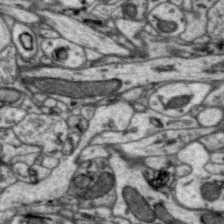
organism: Zebra finch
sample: Brain